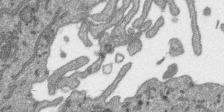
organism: Human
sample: Lung epithelial cells infected with SARS-CoV-2